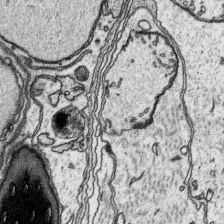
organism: Platynereis dumerilii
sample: Parapodia